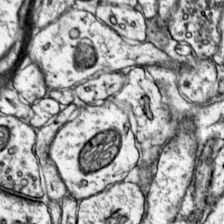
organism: Mouse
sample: Primary visual cortex